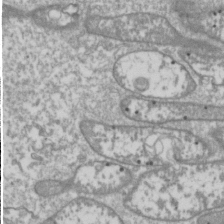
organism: Drosophila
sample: Cell division; meiosis; drosophila spermatocytes